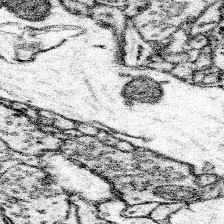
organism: Mouse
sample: Somatosensory cortex neuropil